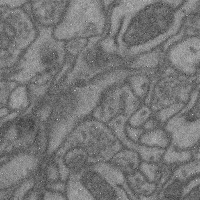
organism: Mouse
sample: Cerebral cortex